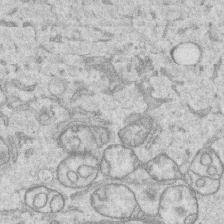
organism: Human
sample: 1205lu cells